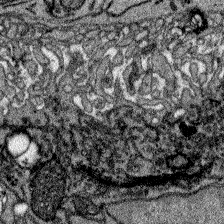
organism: Zebrafish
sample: Larval olfactory bulb